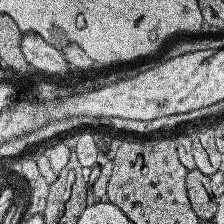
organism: Human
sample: Temporal Lobe